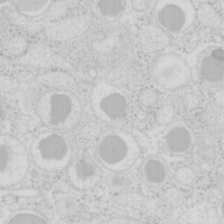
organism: Mouse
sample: Pancreas